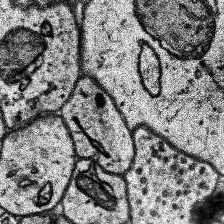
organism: Human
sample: Temporal Lobe